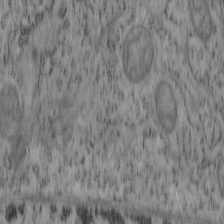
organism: Human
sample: HeLa cells